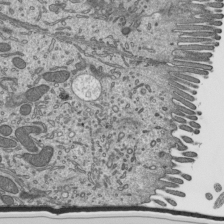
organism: Mouse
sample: Mouse epididymis efferent ductule cilia